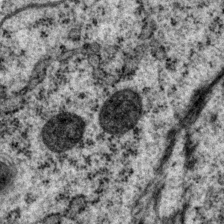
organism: P. pacificus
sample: Pharynx